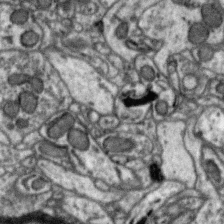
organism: Zebra finch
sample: Brain